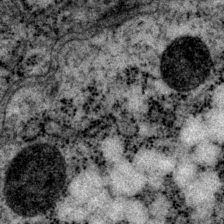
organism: P. pacificus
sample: Pharynx